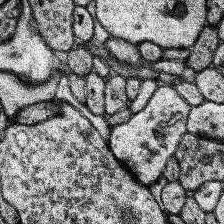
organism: Human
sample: Temporal Lobe